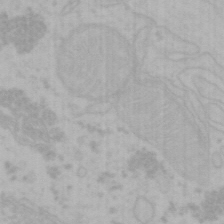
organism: Mouse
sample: Choroid plexus